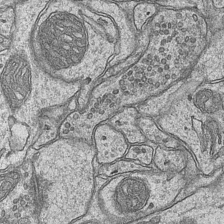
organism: Mouse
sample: CA1 Hippocampus